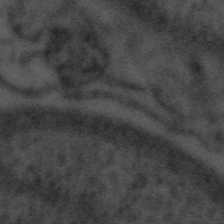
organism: Tuwongella immobilis